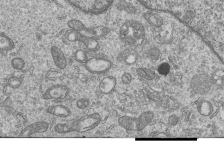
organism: Human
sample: MDA-MB-231 cells